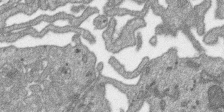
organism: Human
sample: Lung epithelial cells infected with SARS-CoV-2